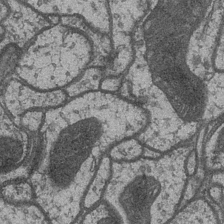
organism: Drosophila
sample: Optic medulla